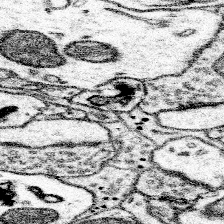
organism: Mouse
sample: Somatosensory cortex neuropil